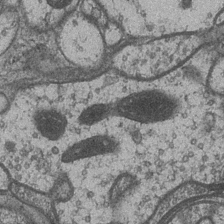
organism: Drosophila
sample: Optic medulla